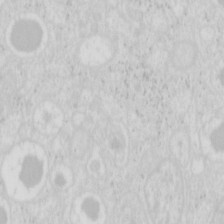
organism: Mouse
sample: Pancreas